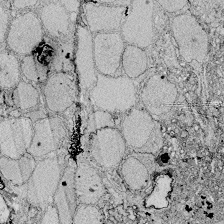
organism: Zebrafish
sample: Whole-Brain